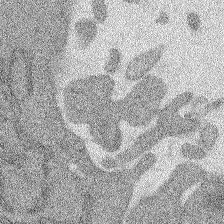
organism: Human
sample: HeLa cells